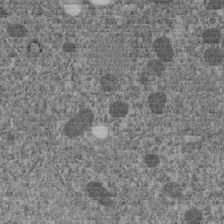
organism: C. elegans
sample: C. elegans embryo early stage